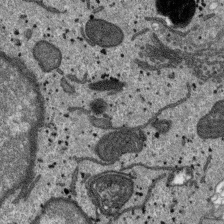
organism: Human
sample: Lung epithelial cells, uninfected (mock) control